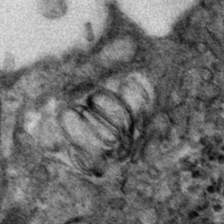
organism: Mouse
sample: Mouse hepatocytes